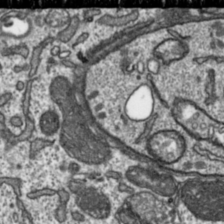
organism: Toxoplasma gondii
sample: Parasites in a vacuole inside a host cell